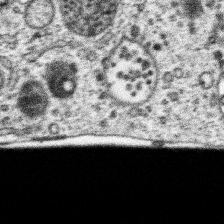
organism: Human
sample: HeLa cells